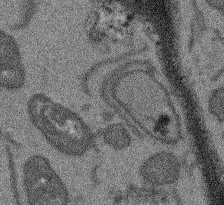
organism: Arabidopsis thaliana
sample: Root tip